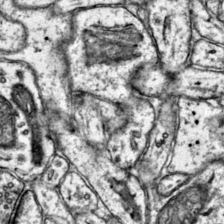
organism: Mouse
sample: Primary visual cortex